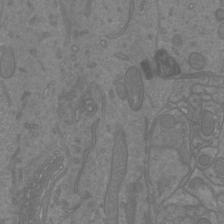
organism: Mouse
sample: Cortical neurons